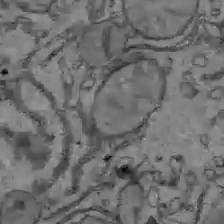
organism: C57BL Mouse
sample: Liver